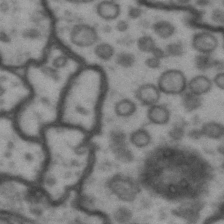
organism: Drosophila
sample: Brain